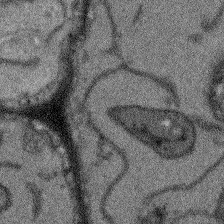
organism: Arabidopsis thaliana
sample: Root tip